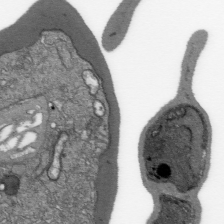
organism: Plasmodium falciparum